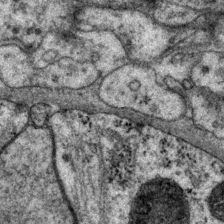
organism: P. pacificus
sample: Pharynx